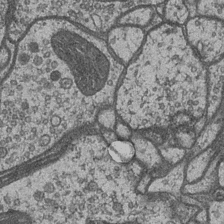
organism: Drosophila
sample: Optic medulla